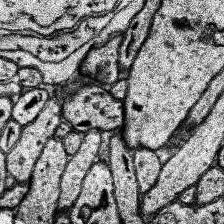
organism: Human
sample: Temporal Lobe